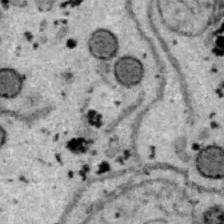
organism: Mouse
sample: Liver from an obese (ob/ob) mouse